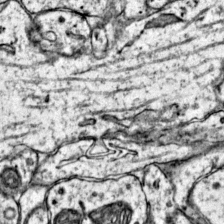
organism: Mouse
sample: Primary visual cortex